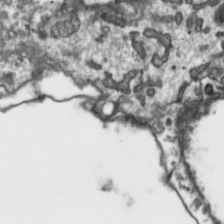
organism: Toxoplasma gondii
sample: Parasites in a vacuole inside a host cell